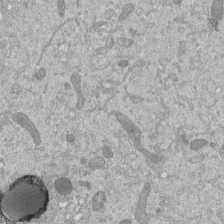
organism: Mouse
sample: ED-1 cell nuclei; centrioles